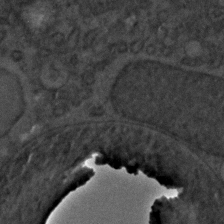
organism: C. elegans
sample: C. elegans embryo